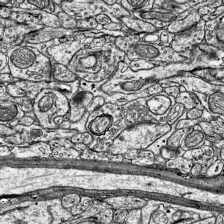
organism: Mouse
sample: Visual Cortex